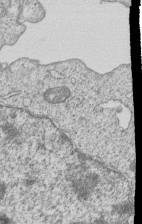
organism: Human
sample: MDA-MB-231 cells